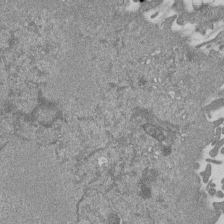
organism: Mouse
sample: ED-1 cell nuclei; centrioles